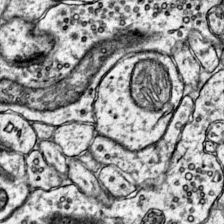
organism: Mouse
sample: Primary visual cortex